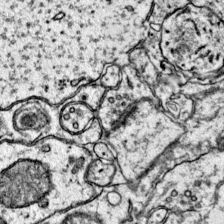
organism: Mouse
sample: Primary visual cortex